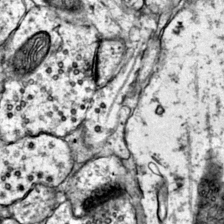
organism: Mouse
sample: Primary visual cortex